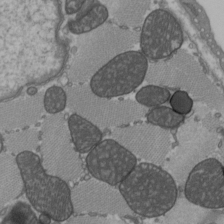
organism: C57BL Mouse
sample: Heart